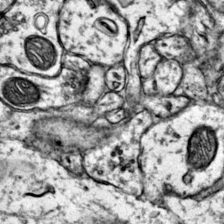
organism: Mouse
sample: Primary visual cortex